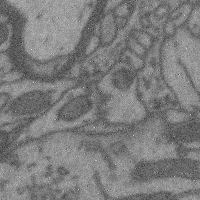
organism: Mouse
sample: Cerebral cortex